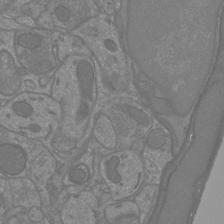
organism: Mouse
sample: Cortical neurons